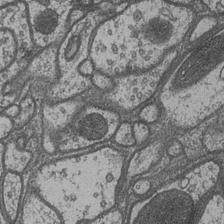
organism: Drosophila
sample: Optic medulla